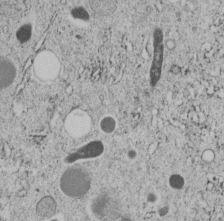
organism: C. elegans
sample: C. elegans embryo early stage